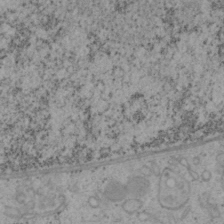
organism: Human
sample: HeLa cells